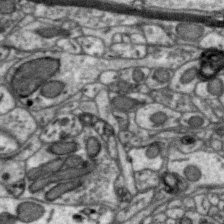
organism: Zebra finch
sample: Brain